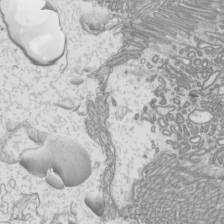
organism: Mouse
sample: Cilia; mouse epididymis